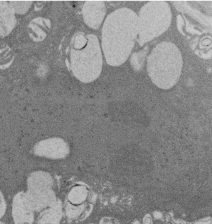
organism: Rat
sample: Salivary granule